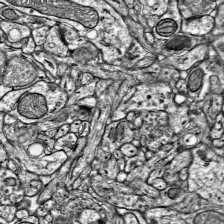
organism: Mouse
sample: Visual Cortex